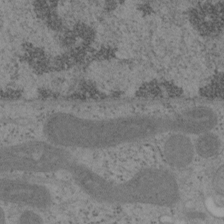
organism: Mouse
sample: OT-I killer T cells with ID8 ovarian cancer cells